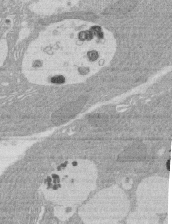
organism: Rat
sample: Salivary granule